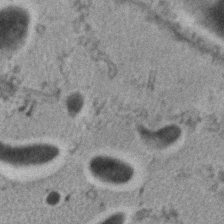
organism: C. elegans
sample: C. elegans embryo